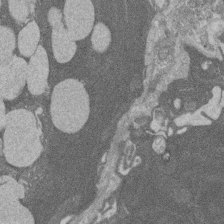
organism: Rat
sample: Salivary granule